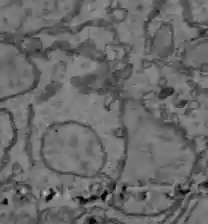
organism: C57BL Mouse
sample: Liver